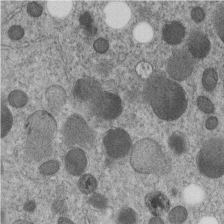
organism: C. elegans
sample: C. elegans embryo early stage